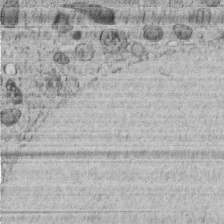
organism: C. elegans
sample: C. elegans embryo early stage